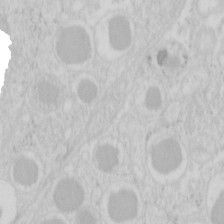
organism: Mouse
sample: Pancreas